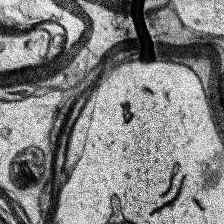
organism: Human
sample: Temporal Lobe